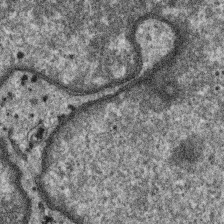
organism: Human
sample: Lung epithelial cells infected with SARS-CoV-2